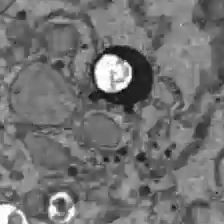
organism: C57BL Mouse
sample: Liver